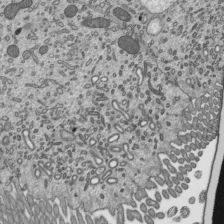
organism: Mouse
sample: Mouse epididymis efferent ductule cilia